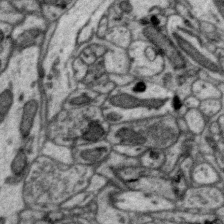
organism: Zebra finch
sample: Brain